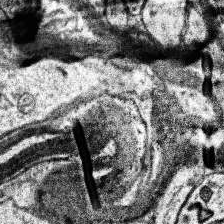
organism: Human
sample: Temporal Lobe